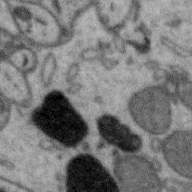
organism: Zebra finch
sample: Brain